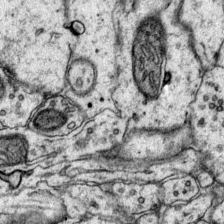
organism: Mouse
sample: Primary visual cortex